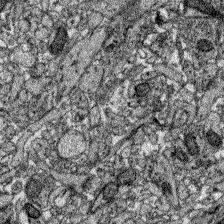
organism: Zebrafish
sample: Larval olfactory bulb